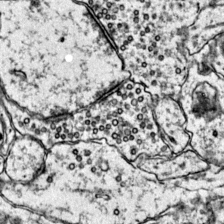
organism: Mouse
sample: Primary visual cortex